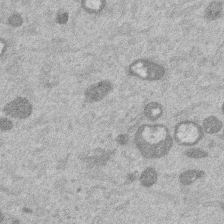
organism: Mouse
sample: Dividing mouse embryo 1 cell stage